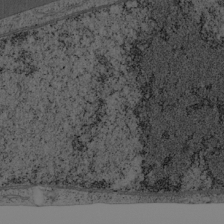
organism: African green monkey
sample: COS-7 cells